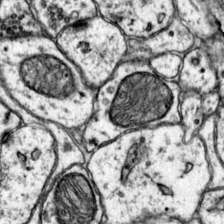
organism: Mouse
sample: Primary visual cortex